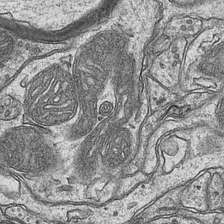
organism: Mouse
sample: CA1 Hippocampus